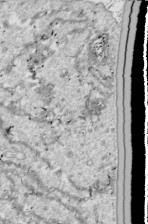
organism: Drosophila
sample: Cell division; meiosis; drosophila spermatocytes